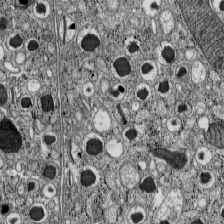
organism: C57BL Mouse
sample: Pancreatic islet